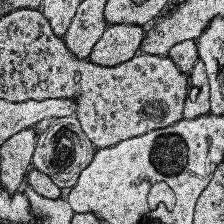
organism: Human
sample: Temporal Lobe